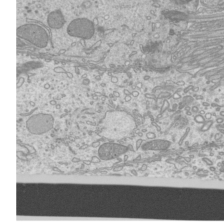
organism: Mouse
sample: Cilia; mouse epididymis